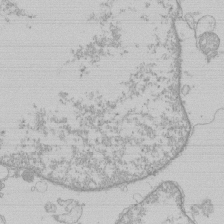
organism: Human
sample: Macrophage cells